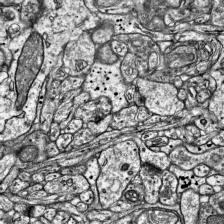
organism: Mouse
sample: Visual Cortex